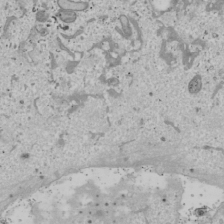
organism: Human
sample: Mitochondria in U2OS cells